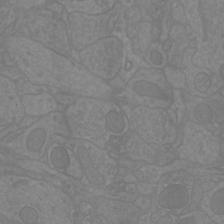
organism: Mouse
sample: Cortical neurons